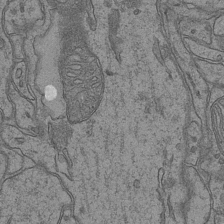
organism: Mouse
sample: CA1 Hippocampus